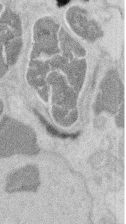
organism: Mouse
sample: T cell stromal cell synapse